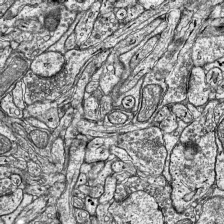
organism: Mouse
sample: Visual Cortex